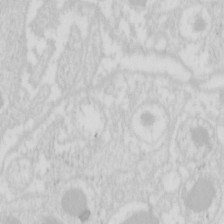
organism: Mouse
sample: Pancreas